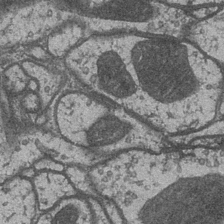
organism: Drosophila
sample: Optic medulla